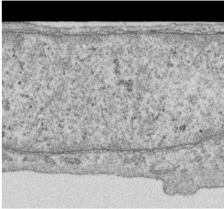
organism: Human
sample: Centriole in RPE cells